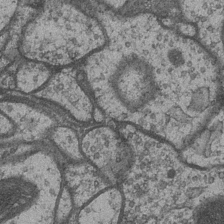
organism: Drosophila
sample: Optic medulla